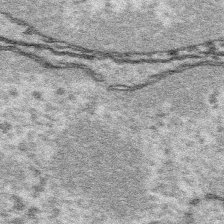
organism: Platynereis dumerilii